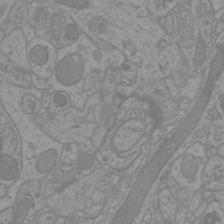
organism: Mouse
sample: Cortical neurons